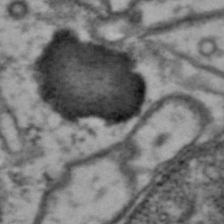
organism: Drosophila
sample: Brain